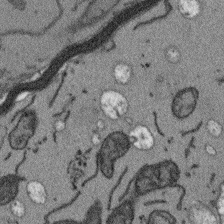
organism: Arabidopsis thaliana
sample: Root tip